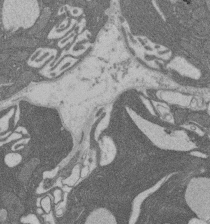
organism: Rat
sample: Salivary granule